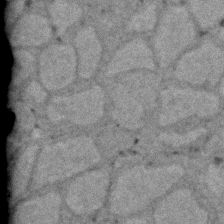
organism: Zebrafish